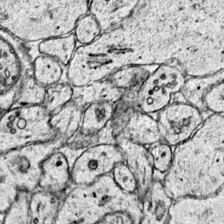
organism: Mouse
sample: Primary visual cortex